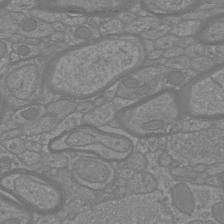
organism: Mouse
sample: Cortical neurons